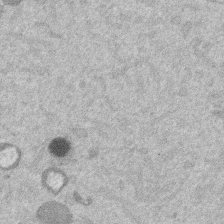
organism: Mouse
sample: Dividing mouse embryo 1 cell stage